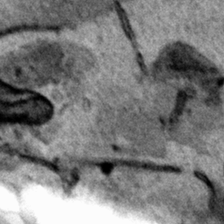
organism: Human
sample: Mitochondria in HCT116 cells